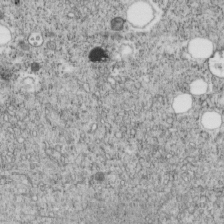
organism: C. elegans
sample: C. elegans embryo early stage